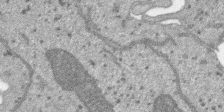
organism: Human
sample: Lung epithelial cells infected with SARS-CoV-2